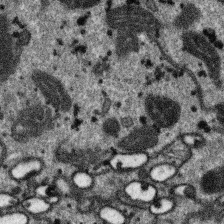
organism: Human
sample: Lung epithelial cells infected with SARS-CoV-2